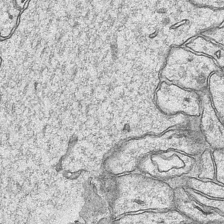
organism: Mouse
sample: CA1 Hippocampus